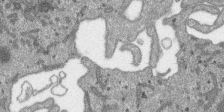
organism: Human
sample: Lung epithelial cells infected with SARS-CoV-2